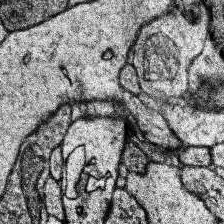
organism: Human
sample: Temporal Lobe